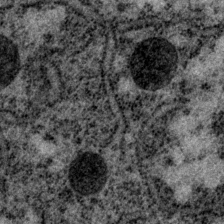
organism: P. pacificus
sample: Pharynx